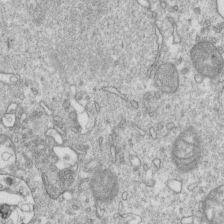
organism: Mouse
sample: Activated OT-1 CD8+ T cells